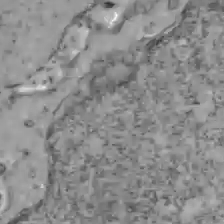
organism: C57BL Mouse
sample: Liver